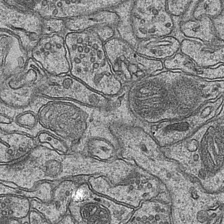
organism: Mouse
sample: CA1 Hippocampus